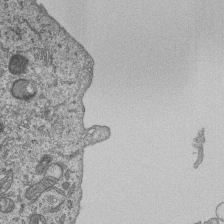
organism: Human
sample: MDA-MB-231 cells